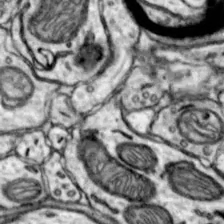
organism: Mouse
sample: Nucleus accumbens